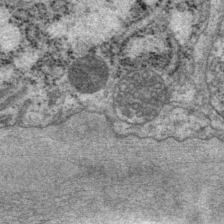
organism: P. pacificus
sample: Pharynx